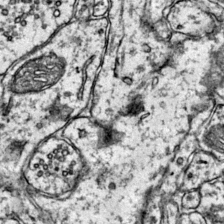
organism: Mouse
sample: Primary visual cortex